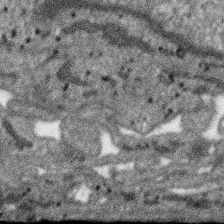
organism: Human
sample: Lung epithelial cells infected with SARS-CoV-2